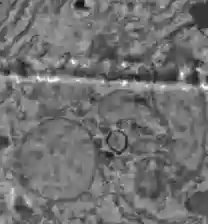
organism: C57BL Mouse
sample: Liver